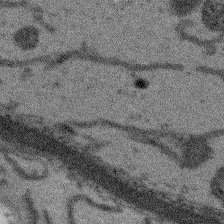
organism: Arabidopsis thaliana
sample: Root tip